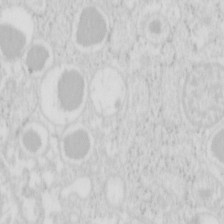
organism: Mouse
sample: Pancreas